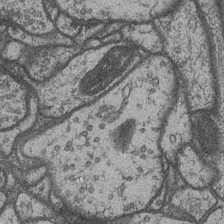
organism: Drosophila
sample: Optic medulla